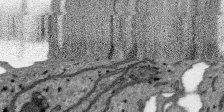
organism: Human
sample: Lung epithelial cells, uninfected (mock) control